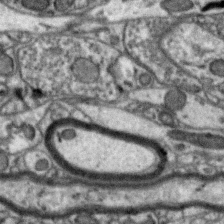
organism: Zebra finch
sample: Brain